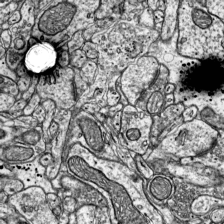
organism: Mouse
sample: Visual Cortex